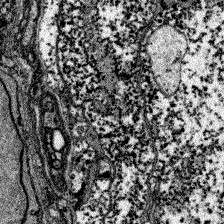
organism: Zebrafish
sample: Larval olfactory bulb